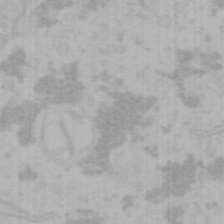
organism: Mouse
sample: Choroid plexus